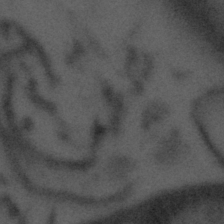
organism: Tuwongella immobilis